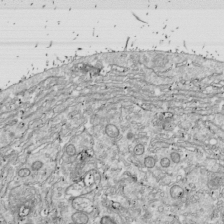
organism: Drosophila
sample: Cell division; meiosis; drosophila spermatocytes